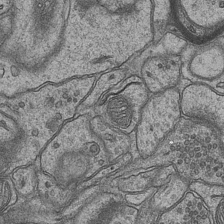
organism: Mouse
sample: CA1 Hippocampus